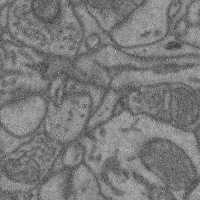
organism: Mouse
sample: Cerebral cortex